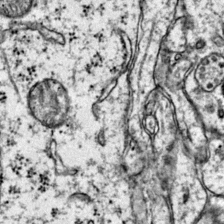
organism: Mouse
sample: Primary visual cortex